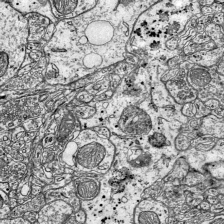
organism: Mouse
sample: Visual Cortex